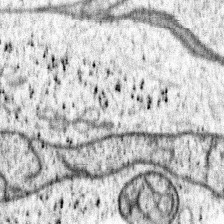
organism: Human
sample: HeLa cells